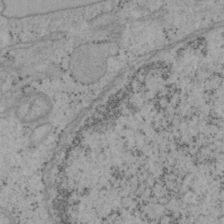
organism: Human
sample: HeLa cells